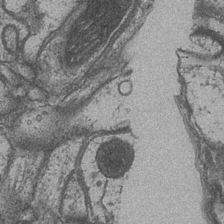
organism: Drosophila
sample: Optic medulla